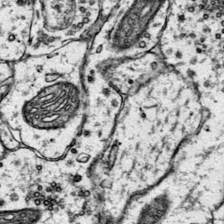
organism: Mouse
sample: Primary visual cortex